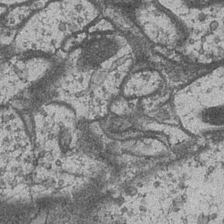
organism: Drosophila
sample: Optic medulla